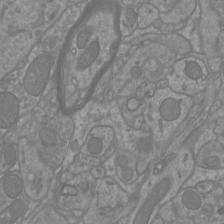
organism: Mouse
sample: Cortical neurons